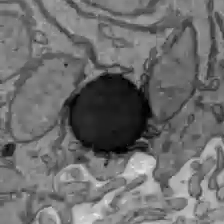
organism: C57BL Mouse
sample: Liver